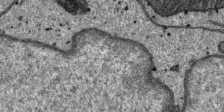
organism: Human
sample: Lung epithelial cells, uninfected (mock) control